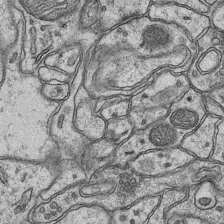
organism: Mouse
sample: CA1 Hippocampus